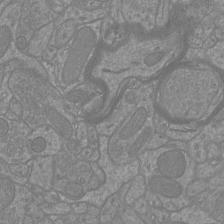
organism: Mouse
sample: Cortical neurons